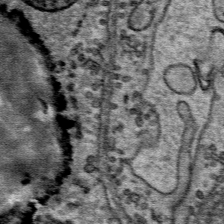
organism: Mouse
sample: Mouse Salivary gland